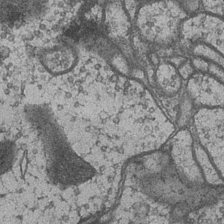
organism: Drosophila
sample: Optic medulla